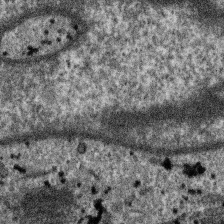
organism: Human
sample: Lung epithelial cells infected with SARS-CoV-2